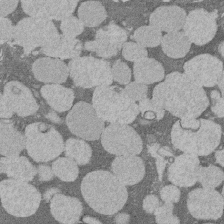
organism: Rat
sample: Salivary granule